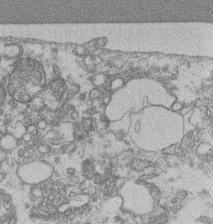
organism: Mouse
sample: T cell stromal cell synapse